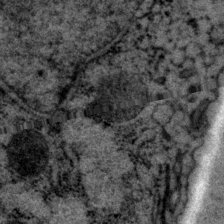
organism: P. pacificus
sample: Pharynx